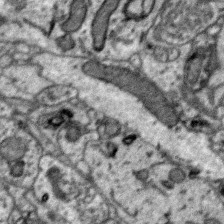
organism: Zebra finch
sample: Brain